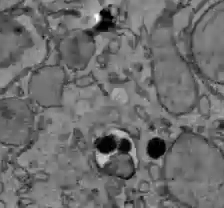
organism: C57BL Mouse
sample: Liver